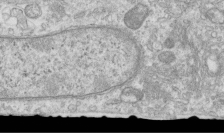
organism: Human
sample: Centriole in RPE cells